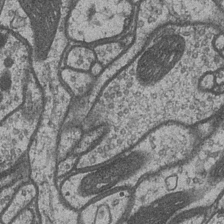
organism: Drosophila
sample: Optic medulla